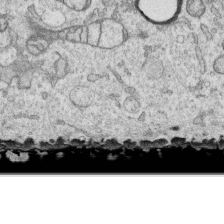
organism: Human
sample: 1205lu cells